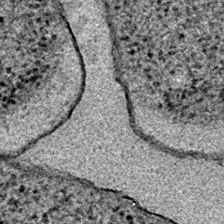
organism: E. coli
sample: E. Coli Bacteria